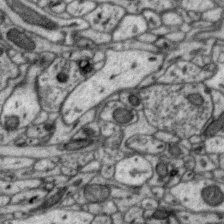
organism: Zebra finch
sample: Brain